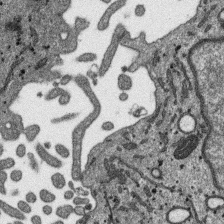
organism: Human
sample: Lung epithelial cells infected with SARS-CoV-2